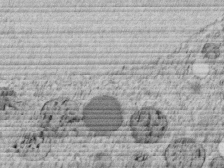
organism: C. elegans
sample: C. elegans embryo early stage